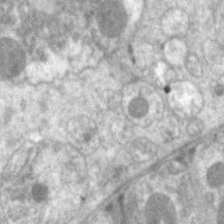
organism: C. elegans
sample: Pharynx